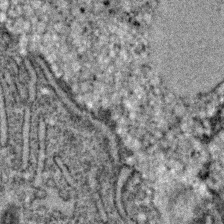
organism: C. elegans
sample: C. elegans embryo